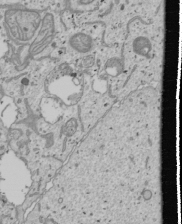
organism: Human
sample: Mitochondria in U2OS cells